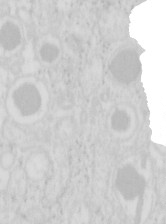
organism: Mouse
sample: Pancreas